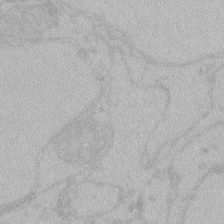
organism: Zebrafish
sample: Macrophage infected with Toxoplasma gondii